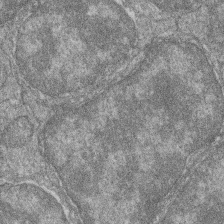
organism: Zebrafish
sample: Cilia; retinal pigment epithelium